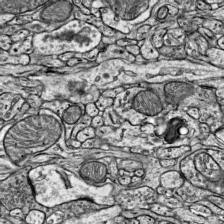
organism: Mouse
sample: Visual Cortex